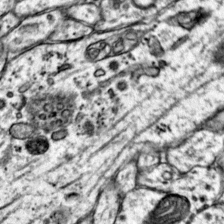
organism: Mouse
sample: Primary visual cortex